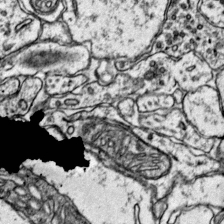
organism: Mouse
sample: Primary visual cortex